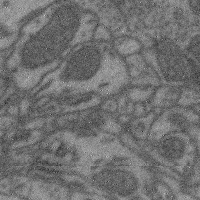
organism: Mouse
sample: Cerebral cortex